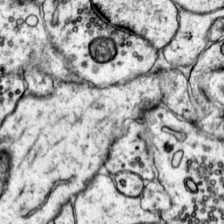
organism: Mouse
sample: Primary visual cortex